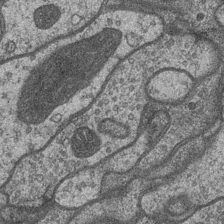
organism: Drosophila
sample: Optic medulla